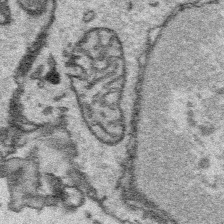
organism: Platynereis dumerilii